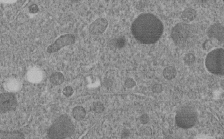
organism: C. elegans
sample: C. elegans embryo early stage